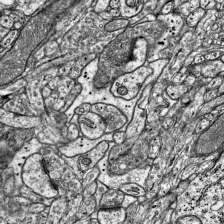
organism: Mouse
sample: Visual Cortex